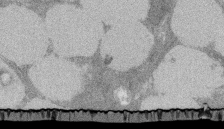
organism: Rat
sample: Salivary granule